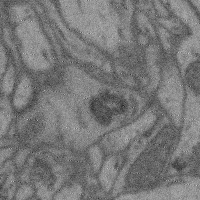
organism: Mouse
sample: Cerebral cortex